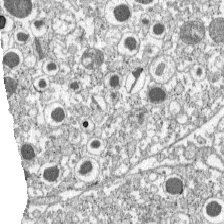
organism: C57BL Mouse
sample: Pancreatic islet